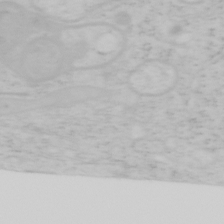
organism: Mouse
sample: OT-I killer T cells with ID8 ovarian cancer cells